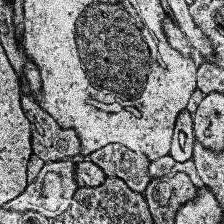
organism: Human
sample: Temporal Lobe